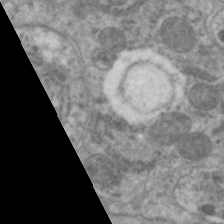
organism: C. elegans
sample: Pharynx